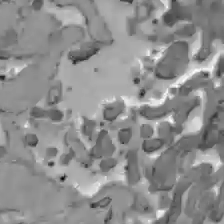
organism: C57BL Mouse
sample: Liver